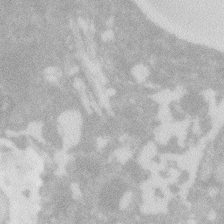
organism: Zebrafish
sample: Macrophage